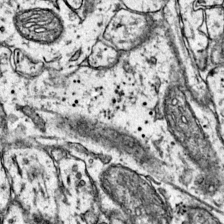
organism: Mouse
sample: Primary visual cortex